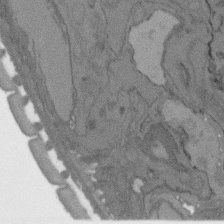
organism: C. elegans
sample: AFD neurons C. elegans